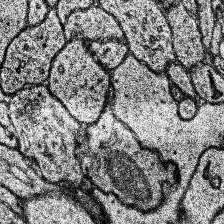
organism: Human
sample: Temporal Lobe